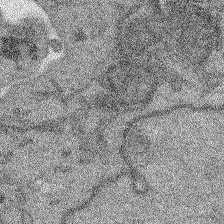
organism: Human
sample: HeLa cells